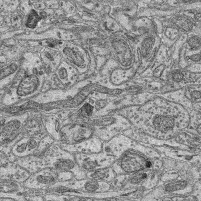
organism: Mouse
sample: Retina